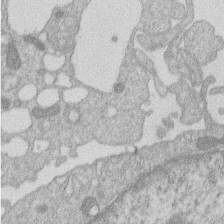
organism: Human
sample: Macrophage cells